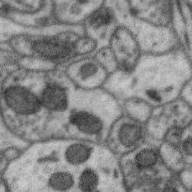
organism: Zebra finch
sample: Brain